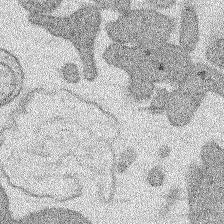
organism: Human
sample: HeLa cells